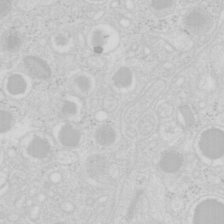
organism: Mouse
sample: Pancreas